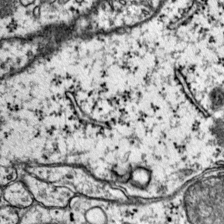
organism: Mouse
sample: Primary visual cortex